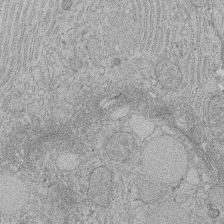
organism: Rat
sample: Salivary granule